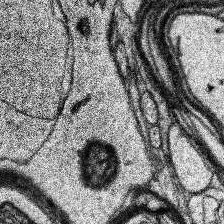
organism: Human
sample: Temporal Lobe